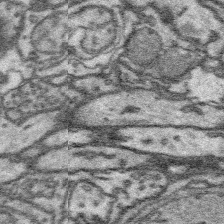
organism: Platynereis dumerilii